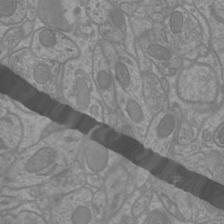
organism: Mouse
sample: Cortical neurons